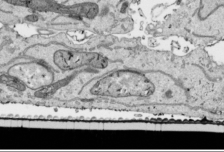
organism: Human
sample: Mitochondria in HCT116 cells